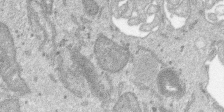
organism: Human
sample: Lung epithelial cells infected with SARS-CoV-2